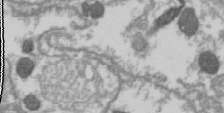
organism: Drosophila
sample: Cell division; meiosis; drosophila spermatocytes